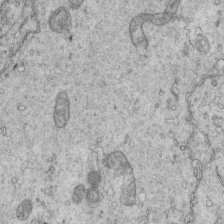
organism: Mouse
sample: Multiciliated cells